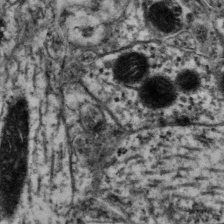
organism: Mouse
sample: Neocortex